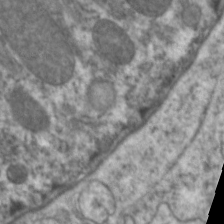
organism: C. elegans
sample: Pharynx